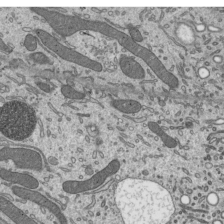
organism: Mouse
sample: Mouse epididymis efferent ductule cilia